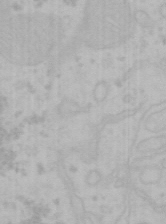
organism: Mouse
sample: Choroid plexus